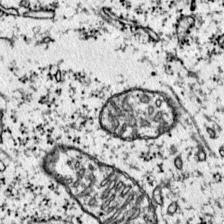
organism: Mouse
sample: Primary visual cortex